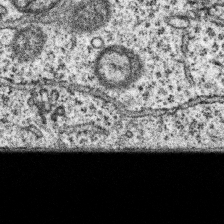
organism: Human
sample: HeLa cells